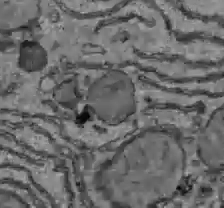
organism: C57BL Mouse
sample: Liver